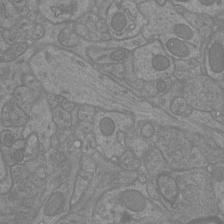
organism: Mouse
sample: Cortical neurons